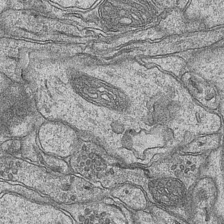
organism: Mouse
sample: CA1 Hippocampus